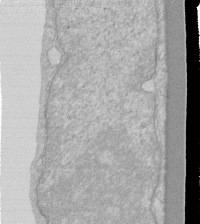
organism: Human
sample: Fibroblast cells